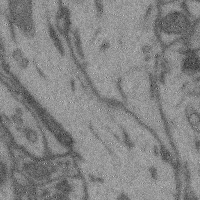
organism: Mouse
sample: Cerebral cortex